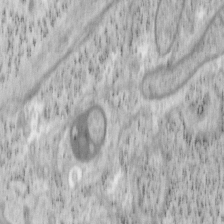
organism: Human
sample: HeLa cells